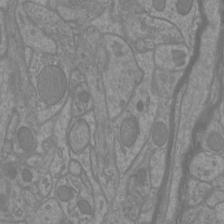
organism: Mouse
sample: Cortical neurons